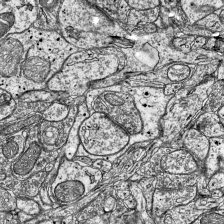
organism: Mouse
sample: Visual Cortex